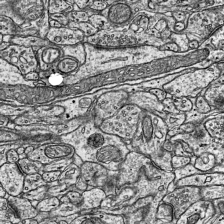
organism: Mouse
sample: Visual Cortex